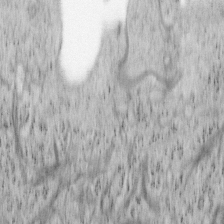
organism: Human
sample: HeLa cells